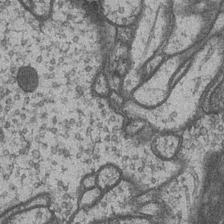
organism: Drosophila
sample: Optic medulla